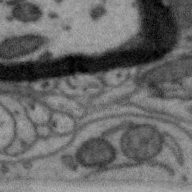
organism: Zebra finch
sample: Brain